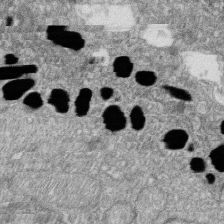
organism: Zebrafish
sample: Cilia; retinal pigment epithelium